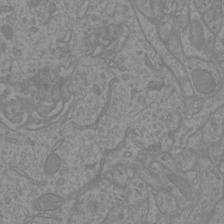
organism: Mouse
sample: Cortical neurons